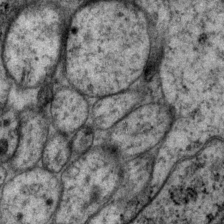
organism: P. pacificus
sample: Pharynx